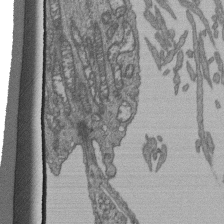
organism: Human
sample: Retinal organoid Rod and Cone cells